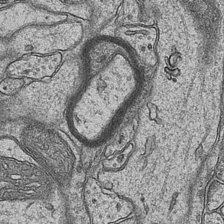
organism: Mouse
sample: CA1 Hippocampus